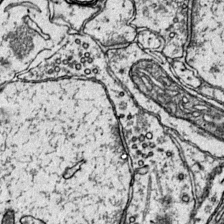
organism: Mouse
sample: Primary visual cortex